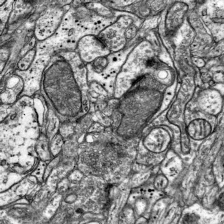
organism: Mouse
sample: Visual Cortex